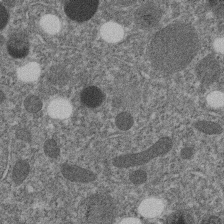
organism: C. elegans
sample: C. elegans embryo early stage